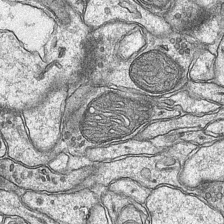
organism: Mouse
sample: CA1 Hippocampus